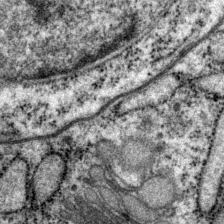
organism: P. pacificus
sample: Pharynx